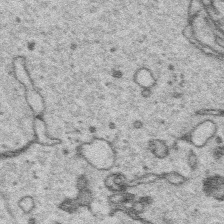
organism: Platynereis dumerilii